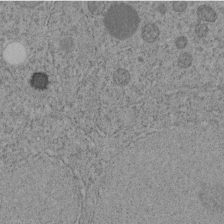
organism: C. elegans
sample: C. elegans embryo early stage